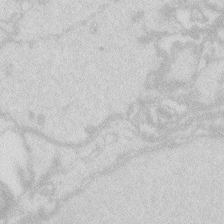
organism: Zebrafish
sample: Macrophage